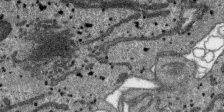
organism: Human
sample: Lung epithelial cells, uninfected (mock) control